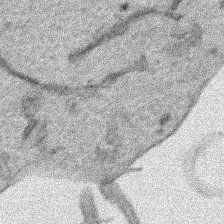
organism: Human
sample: Mitochondria in HCT116 cells